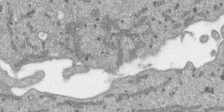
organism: Human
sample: Lung epithelial cells infected with SARS-CoV-2